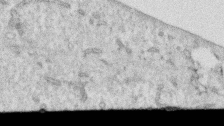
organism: Human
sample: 1205lu cells